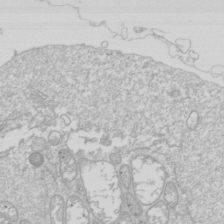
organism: Drosophila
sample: Cell division; meiosis; drosophila spermatocytes